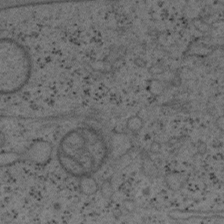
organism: Human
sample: HeLa cells